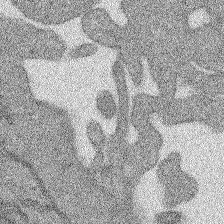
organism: Human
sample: HeLa cells